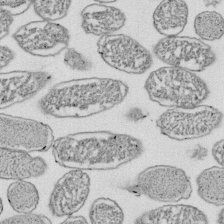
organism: E. coli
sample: Bacterial nucleoid